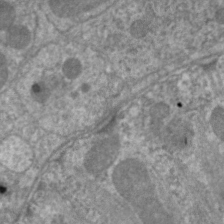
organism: C. elegans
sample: Pharynx